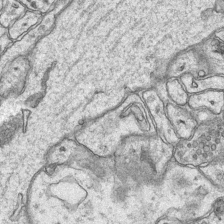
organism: Mouse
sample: CA1 Hippocampus